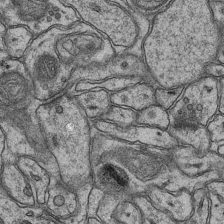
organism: Mouse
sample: CA1 Hippocampus